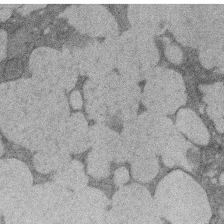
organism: Rat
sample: Salivary granule